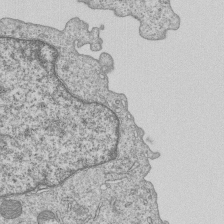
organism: Human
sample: MDA-MB-231 cells